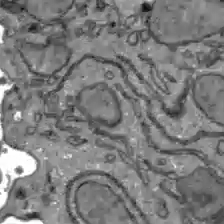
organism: C57BL Mouse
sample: Liver